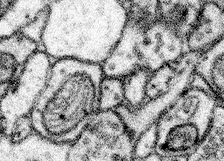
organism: Mouse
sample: Somatosensory cortex neuropil